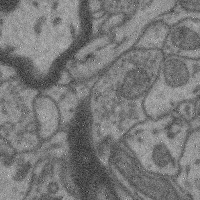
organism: Mouse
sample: Cerebral cortex